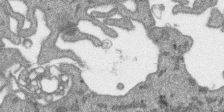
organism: Human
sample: Lung epithelial cells infected with SARS-CoV-2